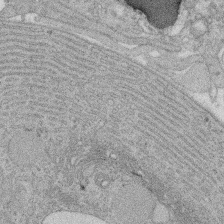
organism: Rat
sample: Salivary granule